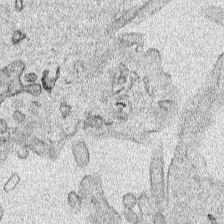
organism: Human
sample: Mitochondria in HCT116 cells